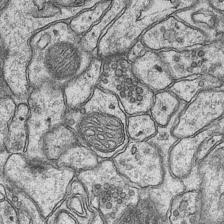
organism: Mouse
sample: CA1 Hippocampus